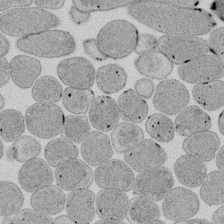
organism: E. coli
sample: Bacterial nucleoid